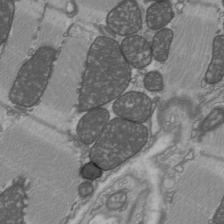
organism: C57BL Mouse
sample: Heart